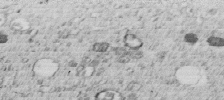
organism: C. elegans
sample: C. elegans embryo early stage